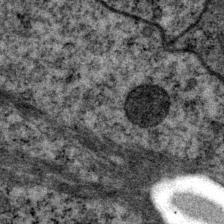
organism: P. pacificus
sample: Pharynx